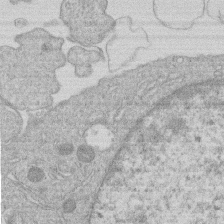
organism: Human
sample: Macrophage cells